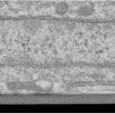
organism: Human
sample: Centriole in RPE cells